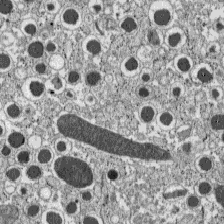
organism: C57BL Mouse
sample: Pancreatic islet